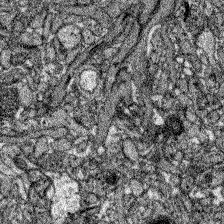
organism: Zebrafish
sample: Larval olfactory bulb